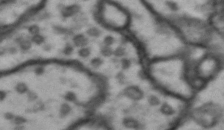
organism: Drosophila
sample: Brain